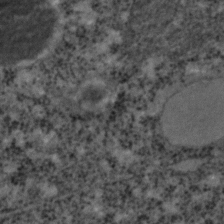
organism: C. elegans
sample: C. elegans embryo